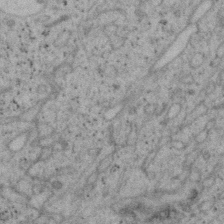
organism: Human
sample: HeLa cells